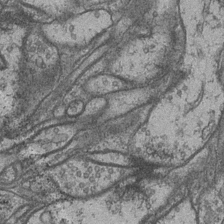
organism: Drosophila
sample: Optic medulla